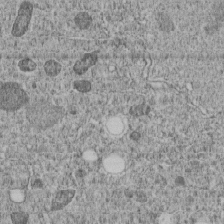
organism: C. elegans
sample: C. elegans embryo early stage